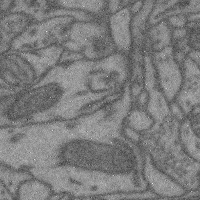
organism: Mouse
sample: Cerebral cortex